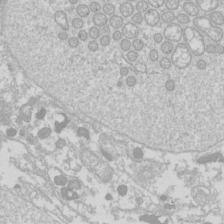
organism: Drosophila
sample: Cell division; meiosis; drosophila spermatocytes